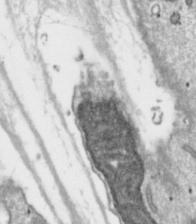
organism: Toxoplasma gondii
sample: Parasites in a vacuole inside a host cell